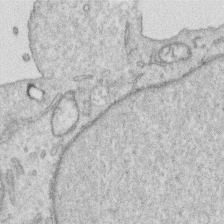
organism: Human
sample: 1205lu cells